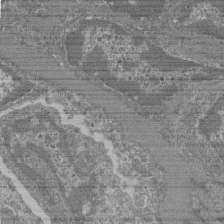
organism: Mouse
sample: Glomerulus